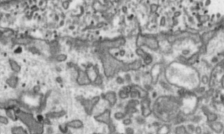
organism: Toxoplasma gondii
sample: Parasites in a vacuole inside a host cell